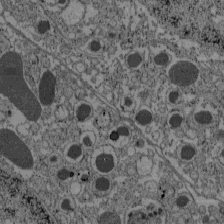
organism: C57BL Mouse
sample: Pancreatic islet